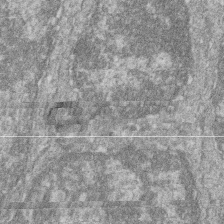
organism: Zebrafish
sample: Cilia; retinal pigment epithelium